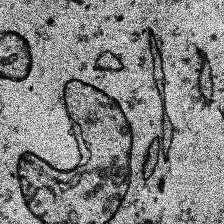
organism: Human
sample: Temporal Lobe